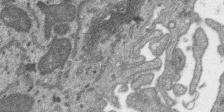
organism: Human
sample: Lung epithelial cells infected with SARS-CoV-2